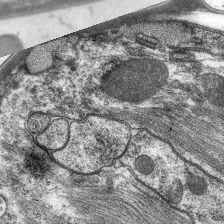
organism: C. elegans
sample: Pharynx